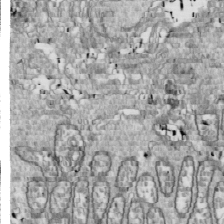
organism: Drosophila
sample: Cell division; meiosis; drosophila spermatocytes